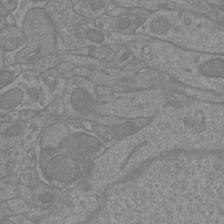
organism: Mouse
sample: Cortical neurons